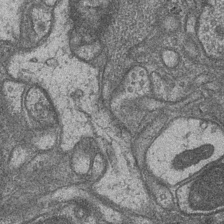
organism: Drosophila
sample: Optic medulla